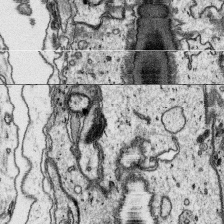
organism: Platynereis dumerilii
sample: Parapodia